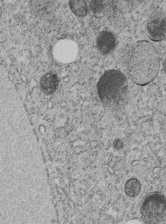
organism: C. elegans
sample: C. elegans embryo early stage